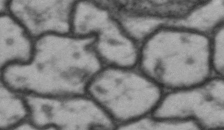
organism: Drosophila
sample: Brain